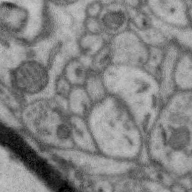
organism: Zebra finch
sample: Brain